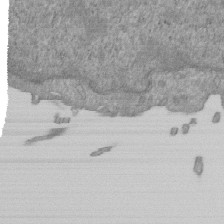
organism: Mouse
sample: ED-1 cell nuclei; centrioles